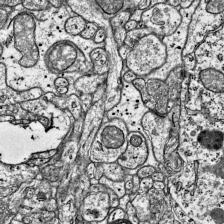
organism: Mouse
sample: Visual Cortex